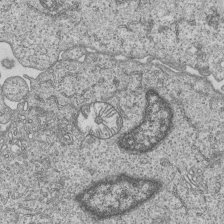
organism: Human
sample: MDA-MB-231 cells